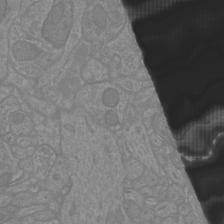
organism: Mouse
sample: Cortical neurons